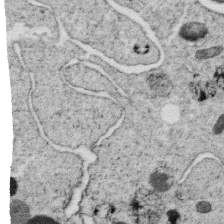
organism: C. elegans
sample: C. elegans oocyte; sperm cells